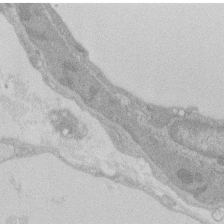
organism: Rat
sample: Salivary granule